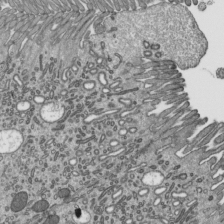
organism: Mouse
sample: Mouse epididymis efferent ductule cilia